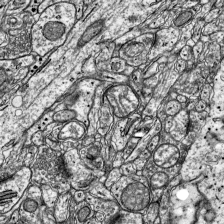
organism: Mouse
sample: Visual Cortex